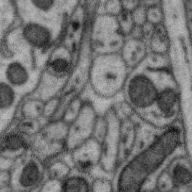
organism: Zebra finch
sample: Brain